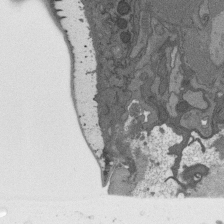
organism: C. elegans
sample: AFD neurons C. elegans